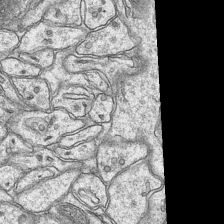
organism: Mouse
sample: CA1 Hippocampus